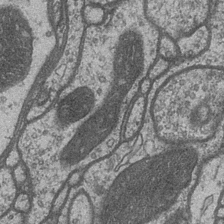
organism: Drosophila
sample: Optic medulla